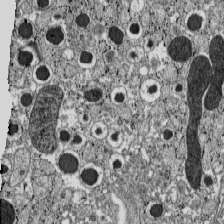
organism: C57BL Mouse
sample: Pancreatic islet